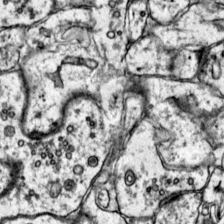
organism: Mouse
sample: Primary visual cortex